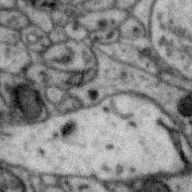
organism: Zebra finch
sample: Brain